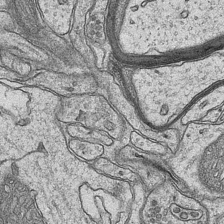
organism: Mouse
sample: CA1 Hippocampus